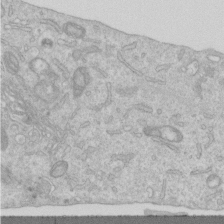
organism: Human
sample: Centriole in RPE cells